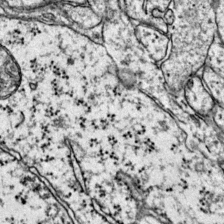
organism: Mouse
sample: Primary visual cortex